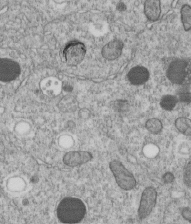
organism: C. elegans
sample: C. elegans embryo early stage